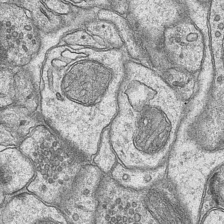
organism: Mouse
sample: CA1 Hippocampus